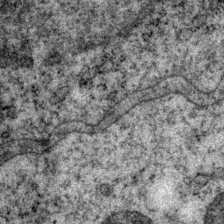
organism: P. pacificus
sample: Pharynx